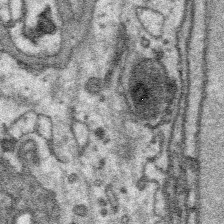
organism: Platynereis dumerilii